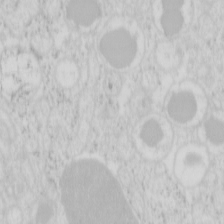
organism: Mouse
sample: Pancreas